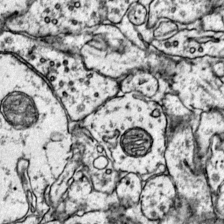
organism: Mouse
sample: Primary visual cortex